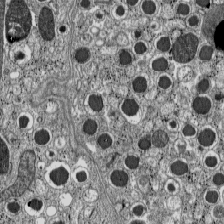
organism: C57BL Mouse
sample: Pancreatic islet